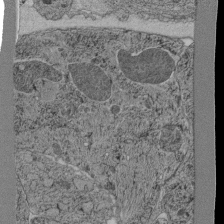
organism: C. elegans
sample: C. elegans pharynx